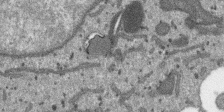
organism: Human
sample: Lung epithelial cells infected with SARS-CoV-2